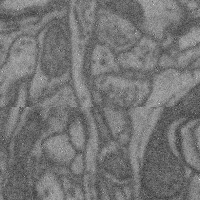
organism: Mouse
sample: Cerebral cortex